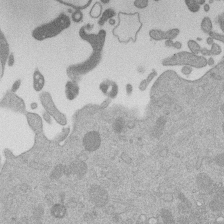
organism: Mouse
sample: Dividing mouse embryo 1 cell stage